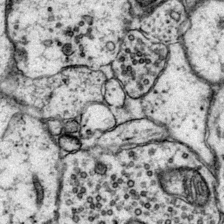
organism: Mouse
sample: Primary visual cortex